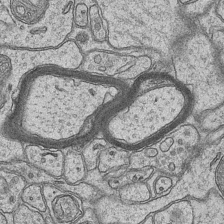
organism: Mouse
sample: CA1 Hippocampus